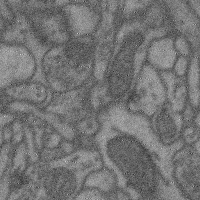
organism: Mouse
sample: Cerebral cortex